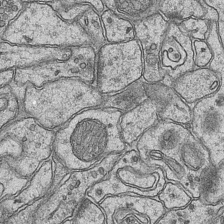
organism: Mouse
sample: CA1 Hippocampus